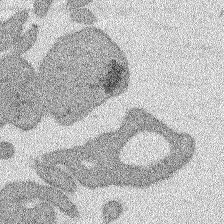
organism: Human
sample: HeLa cells